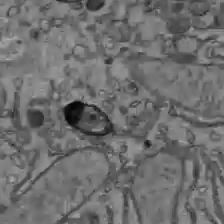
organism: C57BL Mouse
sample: Liver